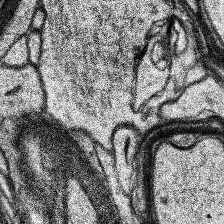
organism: Human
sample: Temporal Lobe